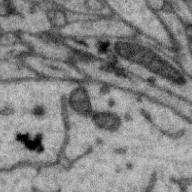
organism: Zebra finch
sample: Brain